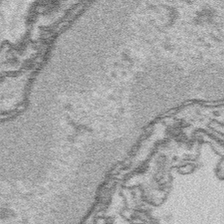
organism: Platynereis dumerilii